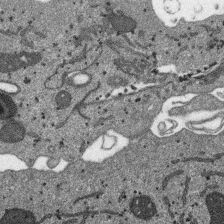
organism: Human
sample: Lung epithelial cells infected with SARS-CoV-2